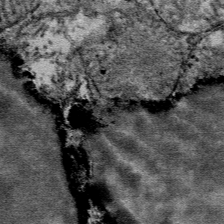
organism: Mouse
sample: Mouse Salivary gland